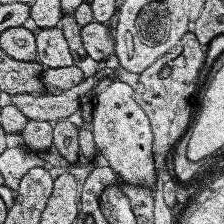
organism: Human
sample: Temporal Lobe